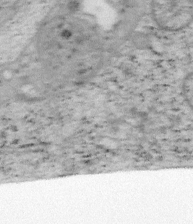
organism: Mouse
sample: OT-I killer T cells with ID8 ovarian cancer cells